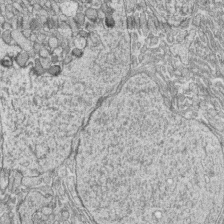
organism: Zebrafish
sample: synaptic ribbons in rod cells and cone cells